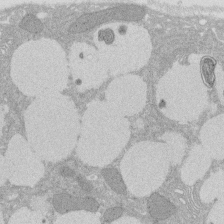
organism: Rat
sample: Salivary granule